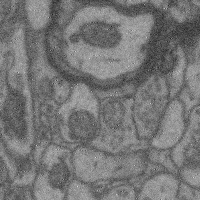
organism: Mouse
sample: Cerebral cortex